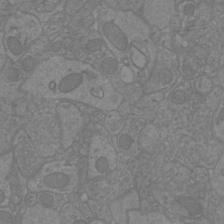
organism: Mouse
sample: Cortical neurons